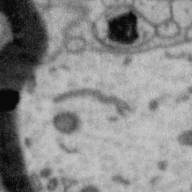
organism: Zebra finch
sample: Brain